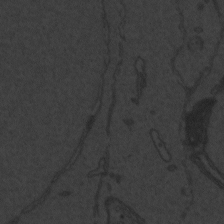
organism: Zebrafish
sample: Macrophage infected with Toxoplasma gondii